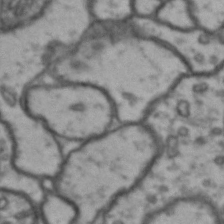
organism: Drosophila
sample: Brain